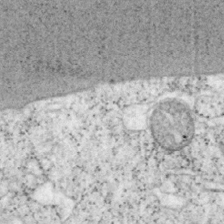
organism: Mouse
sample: OT-I killer T cells with ID8 ovarian cancer cells